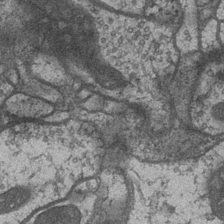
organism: Drosophila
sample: Optic medulla